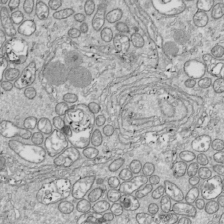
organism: Drosophila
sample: Cell division; meiosis; drosophila spermatocytes